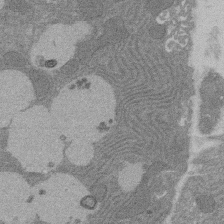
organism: Rat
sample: Salivary granule